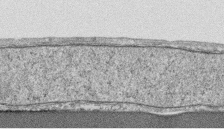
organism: Human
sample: CRL-1474